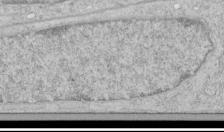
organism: Human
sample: Mitochondria in HCT116 cells